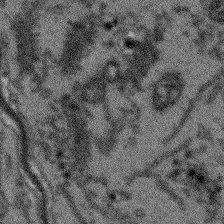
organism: Arabidopsis thaliana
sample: Root tip